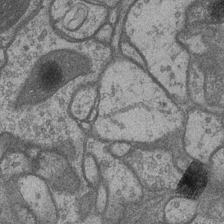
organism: Drosophila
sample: Optic medulla